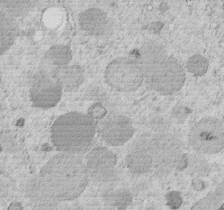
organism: C. elegans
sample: C. elegans embryo early stage